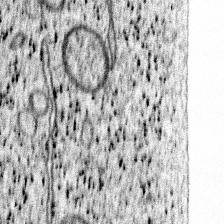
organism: Human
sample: HeLa cells